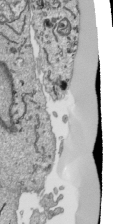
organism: Human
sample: Mitochondria in HCT116 cells